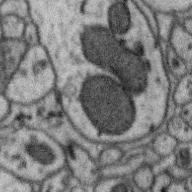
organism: Zebra finch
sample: Brain